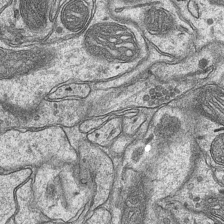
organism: Mouse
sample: CA1 Hippocampus